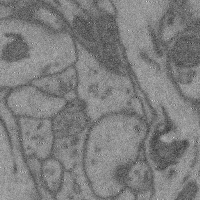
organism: Mouse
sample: Cerebral cortex